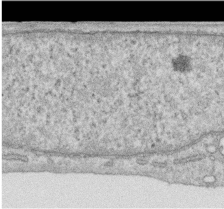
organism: Human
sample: Centriole in RPE cells